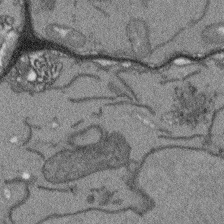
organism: Arabidopsis thaliana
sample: Root tip